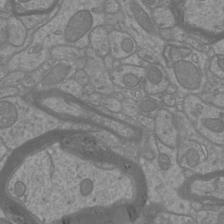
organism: Mouse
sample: Cortical neurons